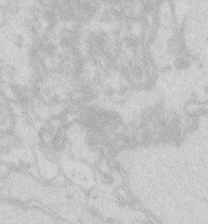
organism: Zebrafish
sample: Macrophage